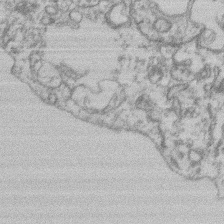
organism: Mouse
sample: T cell stromal cell synapse